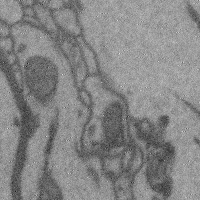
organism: Mouse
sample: Cerebral cortex